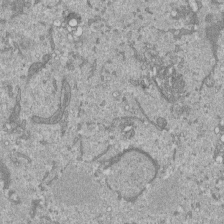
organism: Mouse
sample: ED-1 cell nuclei; centrioles